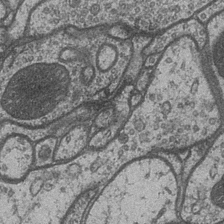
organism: Drosophila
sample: Optic medulla